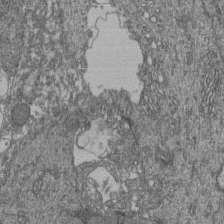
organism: Human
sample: Retinal organoid Rod and Cone cells